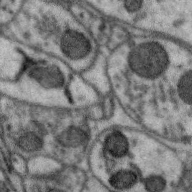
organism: Zebra finch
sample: Brain